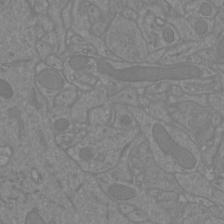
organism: Mouse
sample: Cortical neurons